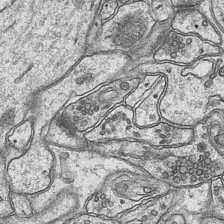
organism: Mouse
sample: CA1 Hippocampus